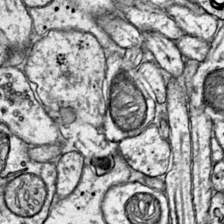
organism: Mouse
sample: Primary visual cortex